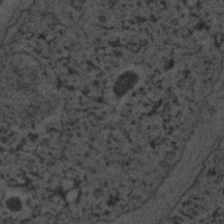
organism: C. elegans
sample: C. elegans embryo